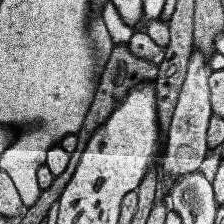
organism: Human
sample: Temporal Lobe